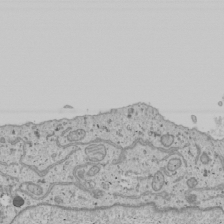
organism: Human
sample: Mitochondria in U2OS cells